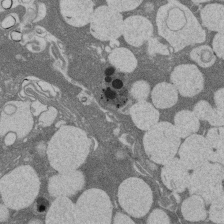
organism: Rat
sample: Salivary granule